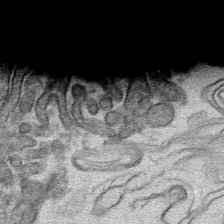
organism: Mouse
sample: Mouse hepatocytes